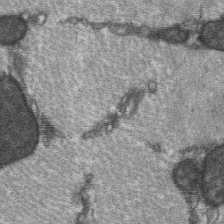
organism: C57BL Mouse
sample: Soleus